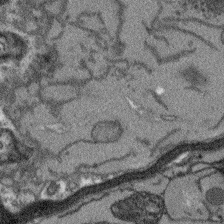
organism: Arabidopsis thaliana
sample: Root tip